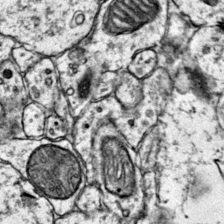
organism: Mouse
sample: Primary visual cortex